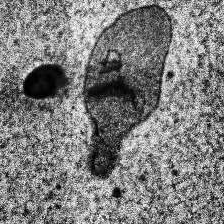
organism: Human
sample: Temporal Lobe